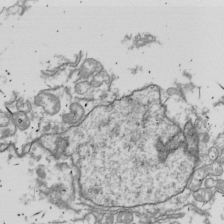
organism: Drosophila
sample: Cell division; meiosis; drosophila spermatocytes